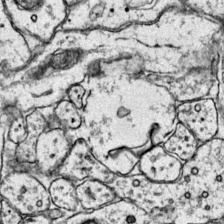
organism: Mouse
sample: Primary visual cortex